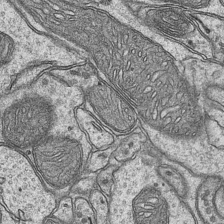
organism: Mouse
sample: CA1 Hippocampus